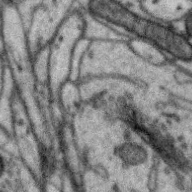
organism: Zebra finch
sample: Brain